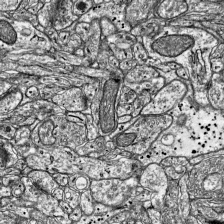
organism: Mouse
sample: Visual Cortex